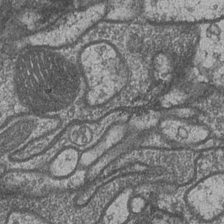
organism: Drosophila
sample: Optic medulla